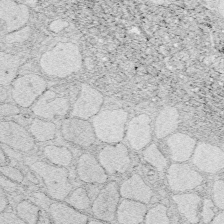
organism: Zebrafish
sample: Whole-Brain